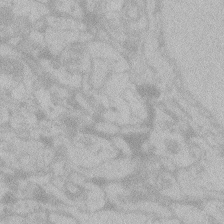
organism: Zebrafish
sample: Macrophage infected with Toxoplasma gondii